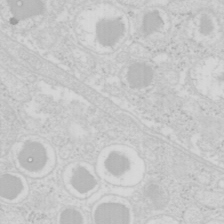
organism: Mouse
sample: Pancreas